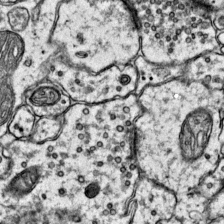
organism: Mouse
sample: Primary visual cortex